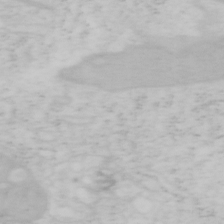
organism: Mouse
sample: OT-I killer T cells with ID8 ovarian cancer cells